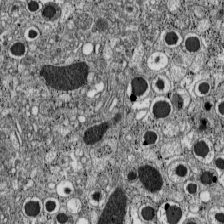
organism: C57BL Mouse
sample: Pancreatic islet